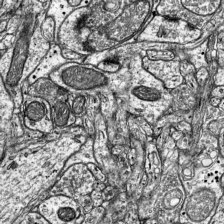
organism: Mouse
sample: Visual Cortex